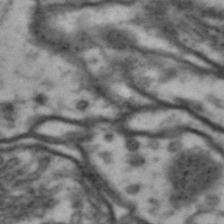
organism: Drosophila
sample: Brain